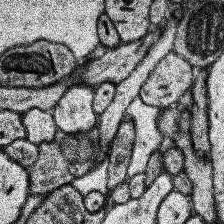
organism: Human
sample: Temporal Lobe